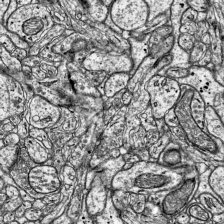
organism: Mouse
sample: Visual Cortex